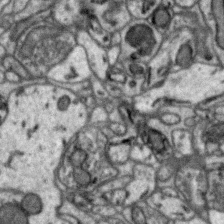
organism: Zebra finch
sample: Brain